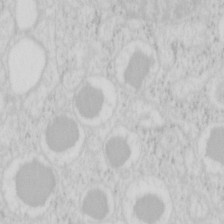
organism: Mouse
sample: Pancreas